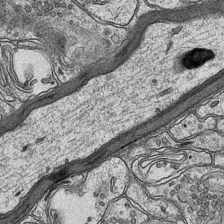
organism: Mouse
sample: CA1 Hippocampus